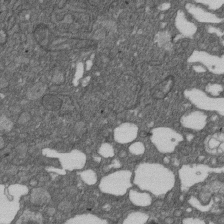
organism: Drosophila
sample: Nephrocyte